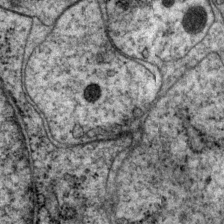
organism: P. pacificus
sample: Pharynx